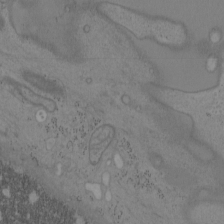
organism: Mouse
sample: OT-I killer T cells with ID8 ovarian cancer cells